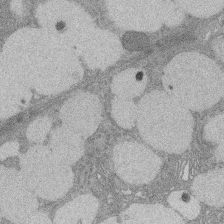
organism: Rat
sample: Salivary granule